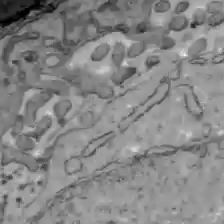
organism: C57BL Mouse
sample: Liver